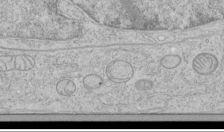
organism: Human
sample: Mitochondria in HCT116 cells